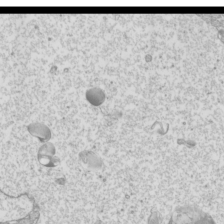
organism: Mouse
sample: Cilia; mouse epididymis